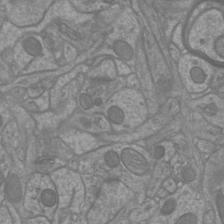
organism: Mouse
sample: Cortical neurons